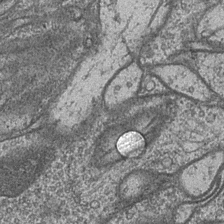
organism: Drosophila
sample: Optic medulla